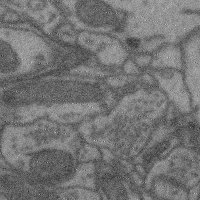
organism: Mouse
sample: Cerebral cortex